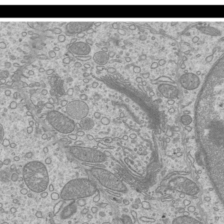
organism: Mouse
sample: Cilia; mouse epididymis